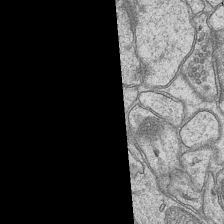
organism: Mouse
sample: CA1 Hippocampus